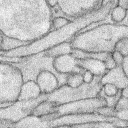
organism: Rabbit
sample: Retina